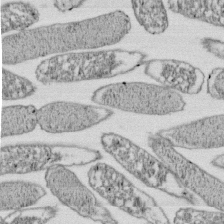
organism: E. coli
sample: Bacterial nucleoid